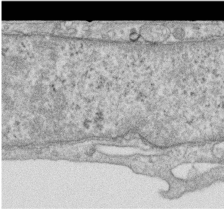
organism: Human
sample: Centriole in RPE cells